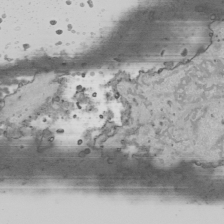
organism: Human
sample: Mitochondria in HCT116 cells